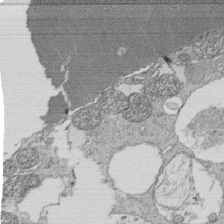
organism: Tetrahymena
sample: Cilia in tetrahymena